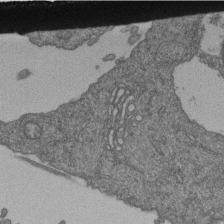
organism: Human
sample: Retinal organoid Rod and Cone cells